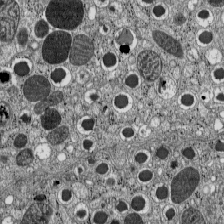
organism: C57BL Mouse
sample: Pancreatic islet